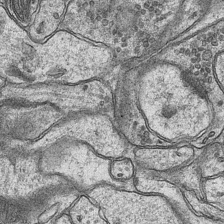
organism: Mouse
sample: CA1 Hippocampus